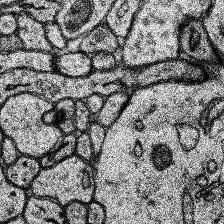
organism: Human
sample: Temporal Lobe